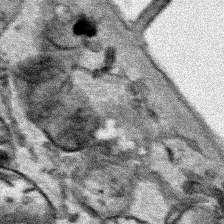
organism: Human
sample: Mitochondria in HCT116 cells